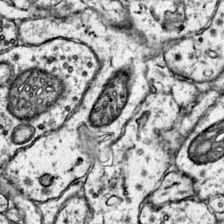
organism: Mouse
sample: Primary visual cortex